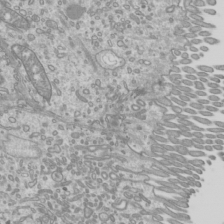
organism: Mouse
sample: Cilia; mouse epididymis